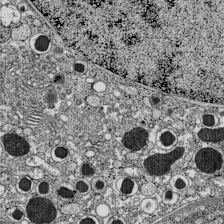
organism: C57BL Mouse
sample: Pancreatic islet